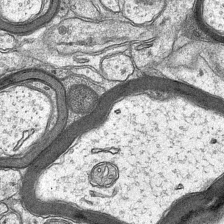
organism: Mouse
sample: CA1 Hippocampus